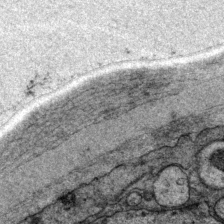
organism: P. pacificus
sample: Pharynx